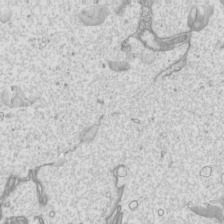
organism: Mouse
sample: Cilia; mouse epididymis